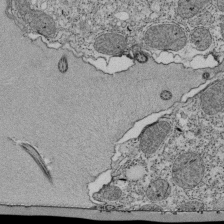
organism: Tetrahymena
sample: Cilia in tetrahymena